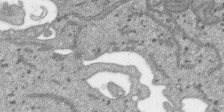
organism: Human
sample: Lung epithelial cells infected with SARS-CoV-2